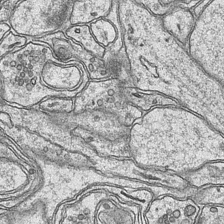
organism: Mouse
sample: CA1 Hippocampus